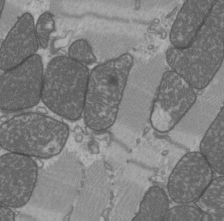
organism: C57BL Mouse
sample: Heart